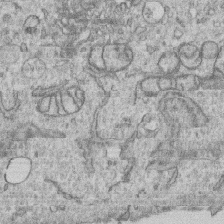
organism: Human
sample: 1205lu cells